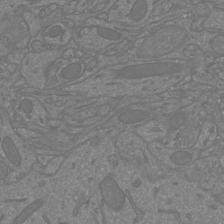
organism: Mouse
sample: Cortical neurons